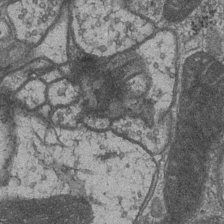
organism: Drosophila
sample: Optic medulla